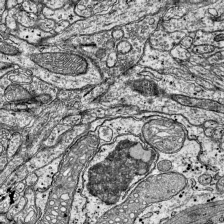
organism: Mouse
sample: Visual Cortex